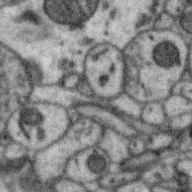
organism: Zebra finch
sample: Brain